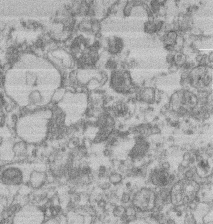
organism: Mouse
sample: T cell stromal cell synapse